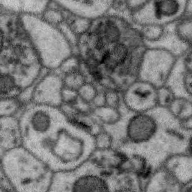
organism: Zebra finch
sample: Brain